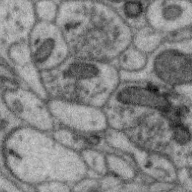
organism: Zebra finch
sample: Brain